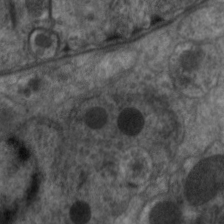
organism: C. elegans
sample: Pharynx